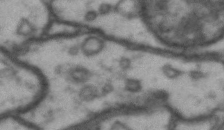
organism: Drosophila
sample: Brain